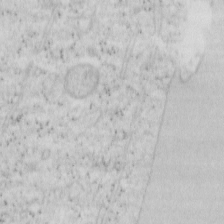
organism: Human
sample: HeLa cells